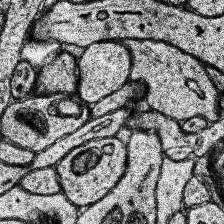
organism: Human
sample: Temporal Lobe